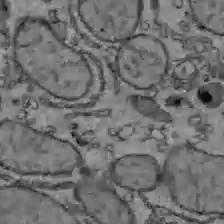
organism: C57BL Mouse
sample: Liver